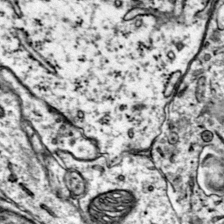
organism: Mouse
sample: Primary visual cortex